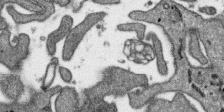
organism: Human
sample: Lung epithelial cells, uninfected (mock) control